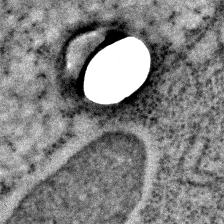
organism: C. elegans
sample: C. elegans embryo